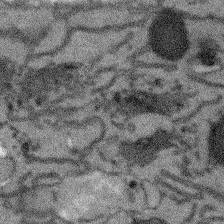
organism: Arabidopsis thaliana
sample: Root tip